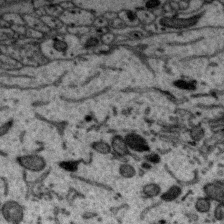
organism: Zebra finch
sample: Brain